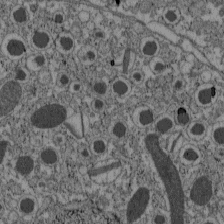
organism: C57BL Mouse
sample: Pancreatic islet